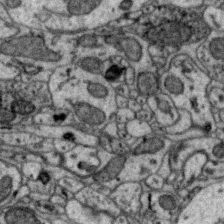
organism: Zebra finch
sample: Brain